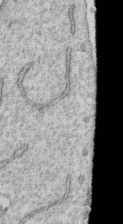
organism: Human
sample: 1205lu cells